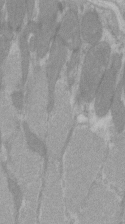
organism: C57BL Mouse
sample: Tibialis anterior muscle cell